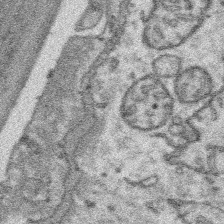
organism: Platynereis dumerilii